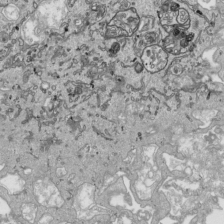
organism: Human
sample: Mitochondria in HCT116 cells